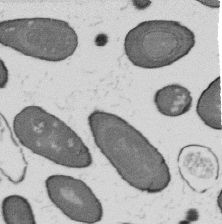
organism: B. subtilis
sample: Bacterial spore